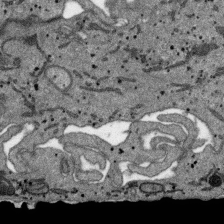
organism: Human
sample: Lung epithelial cells, uninfected (mock) control